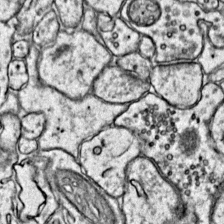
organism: Mouse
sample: Primary visual cortex